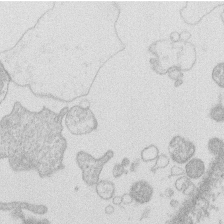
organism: Human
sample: Macrophage cells